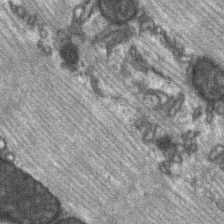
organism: C57BL Mouse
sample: Soleus